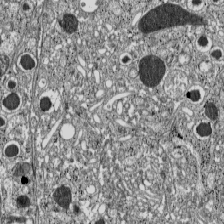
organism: C57BL Mouse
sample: Pancreatic islet